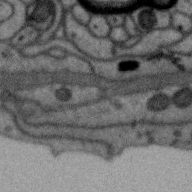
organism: Zebra finch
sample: Brain